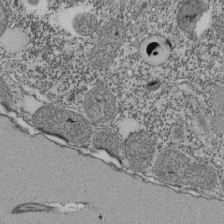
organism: Tetrahymena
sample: Cilia in tetrahymena